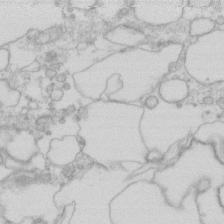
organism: Human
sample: Fibroblast cells